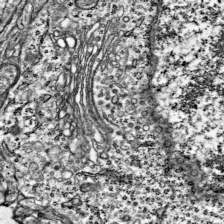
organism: Mouse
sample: Visual Cortex